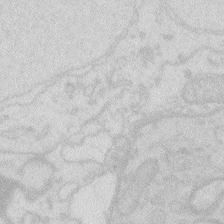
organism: Zebrafish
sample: Macrophage